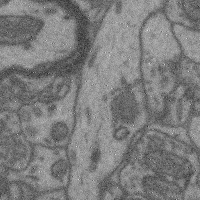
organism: Mouse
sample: Cerebral cortex